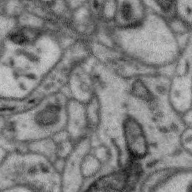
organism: Zebra finch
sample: Brain